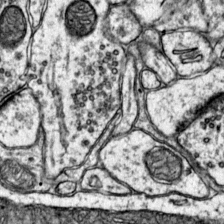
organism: Mouse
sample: Primary visual cortex